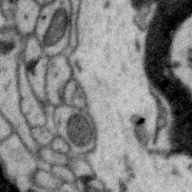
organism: Zebra finch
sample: Brain